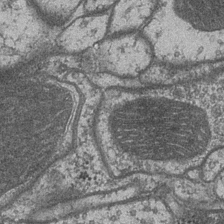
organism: Drosophila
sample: Optic medulla